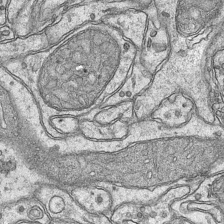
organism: Mouse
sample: CA1 Hippocampus